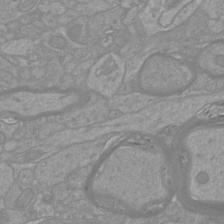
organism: Mouse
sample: Cortical neurons